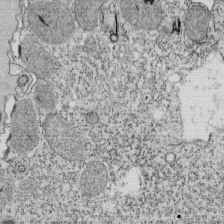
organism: Tetrahymena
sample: Cilia in tetrahymena